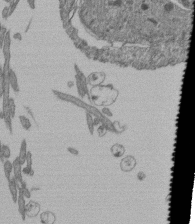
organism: Human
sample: Retinal organoid Rod and Cone cells